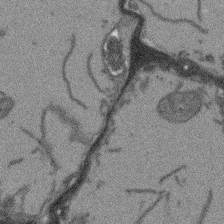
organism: Arabidopsis thaliana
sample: Root tip